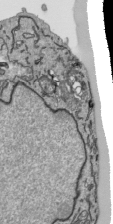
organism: Human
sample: Mitochondria in HCT116 cells